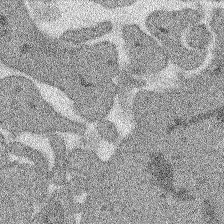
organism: Human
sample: HeLa cells